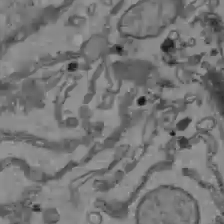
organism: C57BL Mouse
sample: Liver